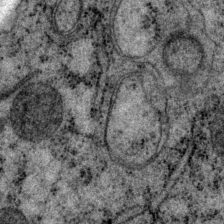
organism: P. pacificus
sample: Pharynx